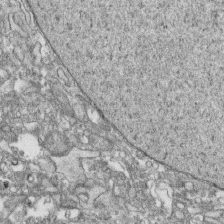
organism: Human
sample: CRL-1474